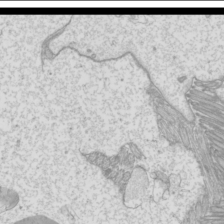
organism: Mouse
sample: Cilia; mouse epididymis